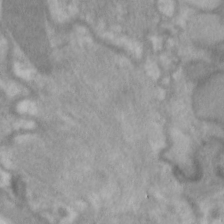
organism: C. elegans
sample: Pharynx